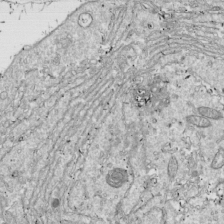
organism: Drosophila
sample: Cell division; meiosis; drosophila spermatocytes